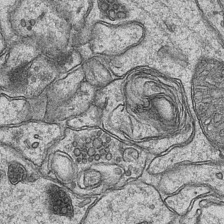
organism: Mouse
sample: CA1 Hippocampus